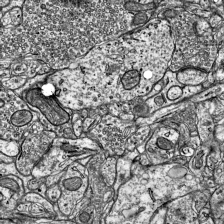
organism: Mouse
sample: Visual Cortex